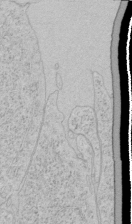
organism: Human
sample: Mitochondria in HCT116 cells